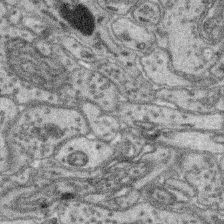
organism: Mouse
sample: Retina